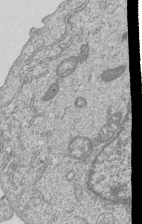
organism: Human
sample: MDA-MB-231 cells